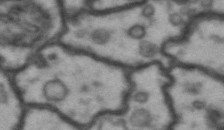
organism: Drosophila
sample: Brain